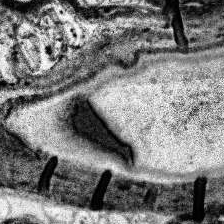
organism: Human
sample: Temporal Lobe